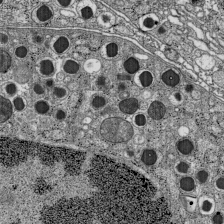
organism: C57BL Mouse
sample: Pancreatic islet